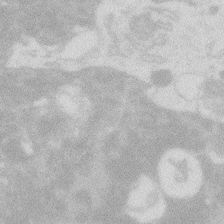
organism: Zebrafish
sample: Macrophage